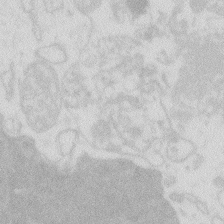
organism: Zebrafish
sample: Macrophage